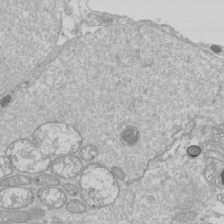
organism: Drosophila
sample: Cell division; meiosis; drosophila spermatocytes